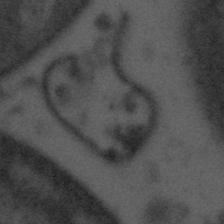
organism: Tuwongella immobilis